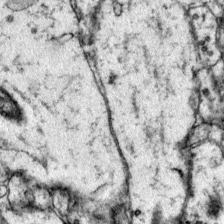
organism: Mouse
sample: Primary visual cortex